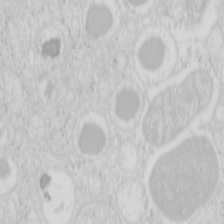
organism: Mouse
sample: Pancreas